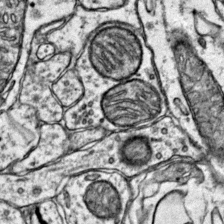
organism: Mouse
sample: Primary visual cortex